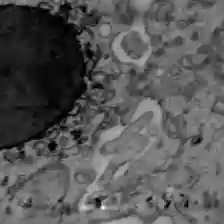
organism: C57BL Mouse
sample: Liver